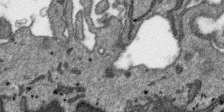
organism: Human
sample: Lung epithelial cells, uninfected (mock) control